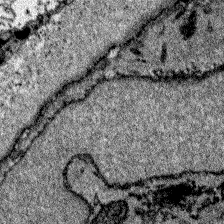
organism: Zebrafish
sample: Larval olfactory bulb